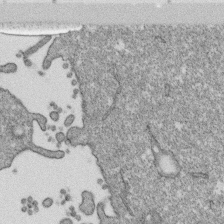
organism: African green monkey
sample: Vero E6 cells infected with SARS-CoV-2